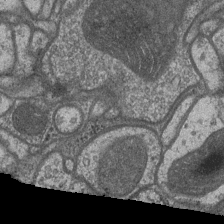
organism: Drosophila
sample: Optic medulla